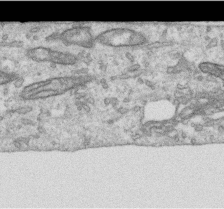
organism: Human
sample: Centriole in RPE cells